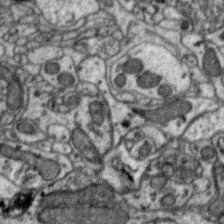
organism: Zebra finch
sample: Brain